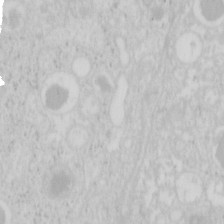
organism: Mouse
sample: Pancreas